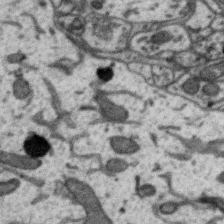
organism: Zebra finch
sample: Brain